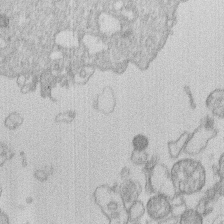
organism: Human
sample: Macrophage cells